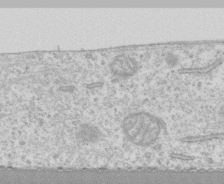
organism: Human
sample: CRL-1474